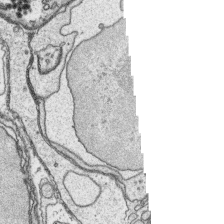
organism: Platynereis dumerilii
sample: Parapodia